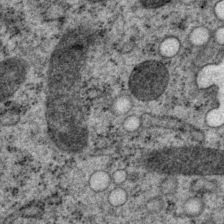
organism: P. pacificus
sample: Pharynx